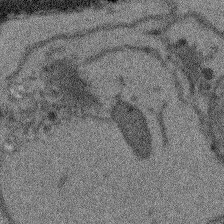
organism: Arabidopsis thaliana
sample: Root tip